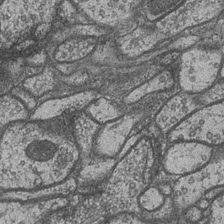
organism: Drosophila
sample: Optic medulla